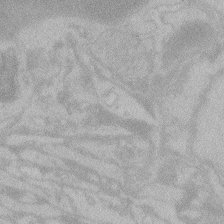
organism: Zebrafish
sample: Macrophage infected with Toxoplasma gondii